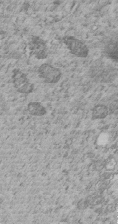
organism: C. elegans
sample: C. elegans embryo early stage